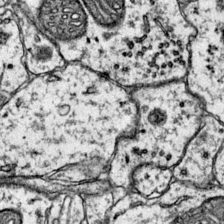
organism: Mouse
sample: Primary visual cortex